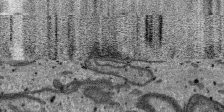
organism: Human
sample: Lung epithelial cells, uninfected (mock) control